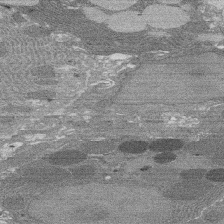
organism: Rat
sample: Salivary granule